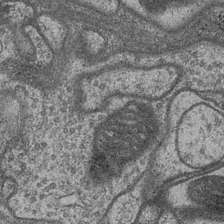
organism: Drosophila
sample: Optic medulla